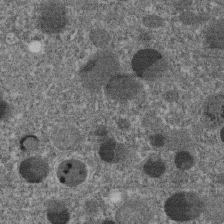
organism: C. elegans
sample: C. elegans embryo early stage